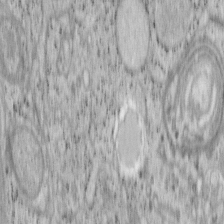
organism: Human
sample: HeLa cells